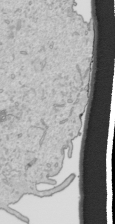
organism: Human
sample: Mitochondria in HCT116 cells